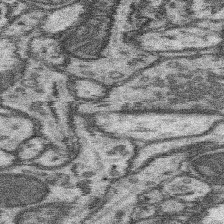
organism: Mouse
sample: Somatosensory cortex neuropil